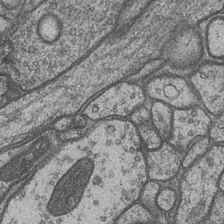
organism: Drosophila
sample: Optic medulla